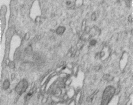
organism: Human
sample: Centriole in RPE cells